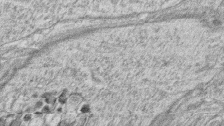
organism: Zebrafish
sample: synaptic ribbons in rod cells and cone cells